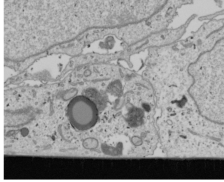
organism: Human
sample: Mitochondria in U2OS cells